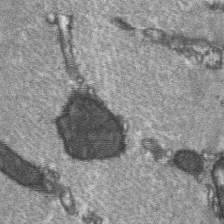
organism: C57BL Mouse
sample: Soleus